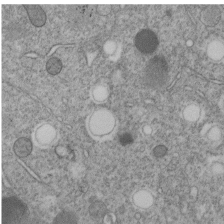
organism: C. elegans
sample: C. elegans embryo early stage